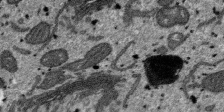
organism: Human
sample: Lung epithelial cells, uninfected (mock) control